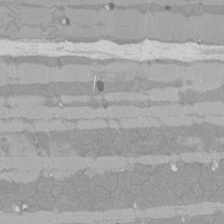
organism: Rat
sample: Left ventricle